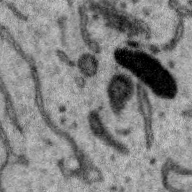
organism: Zebra finch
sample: Brain